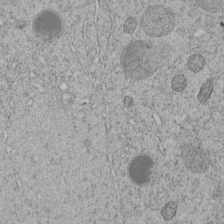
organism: C. elegans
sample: C. elegans embryo early stage